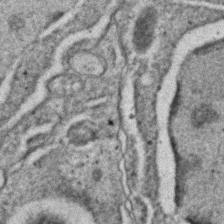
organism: C. elegans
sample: C. elegans embryo